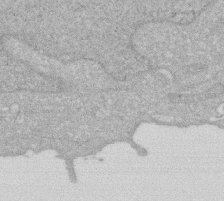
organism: Human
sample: HIV infected U937 cells